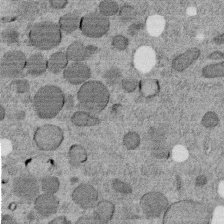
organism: C. elegans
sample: C. elegans embryo early stage